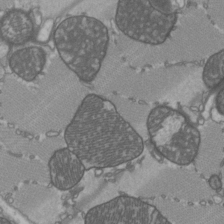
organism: C57BL Mouse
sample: Heart